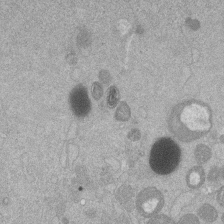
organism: Mouse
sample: Dividing mouse embryo 1 cell stage